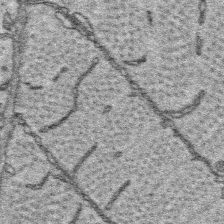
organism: Platynereis dumerilii